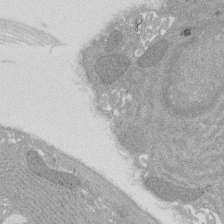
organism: Rat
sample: Salivary granule